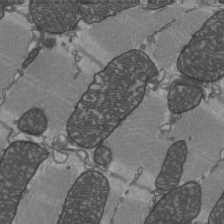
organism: C57BL Mouse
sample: Heart